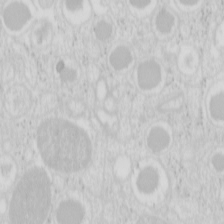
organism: Mouse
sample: Pancreas